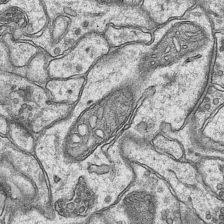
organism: Mouse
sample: CA1 Hippocampus